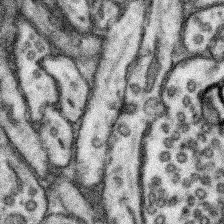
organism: Mouse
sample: Somatosensory cortex neuropil